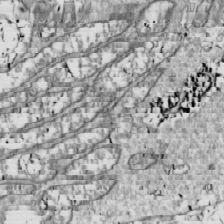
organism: Drosophila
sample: Cell division; meiosis; drosophila spermatocytes